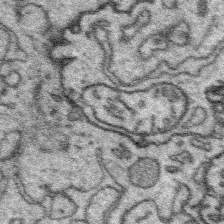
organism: Platynereis dumerilii